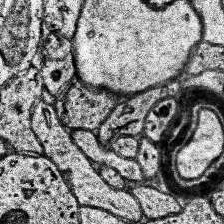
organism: Human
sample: Temporal Lobe